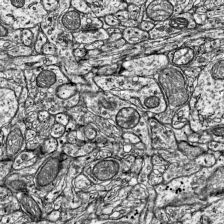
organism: Mouse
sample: Visual Cortex